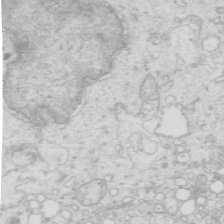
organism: Mouse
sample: Multiciliated cells